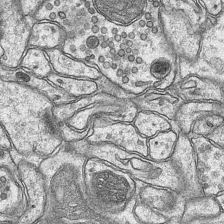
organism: Mouse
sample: CA1 Hippocampus